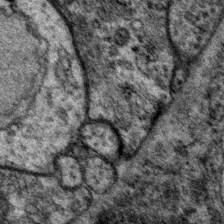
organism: P. pacificus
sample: Pharynx